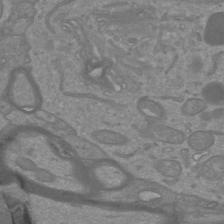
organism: Mouse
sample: Cortical neurons